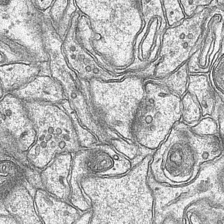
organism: Mouse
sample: CA1 Hippocampus